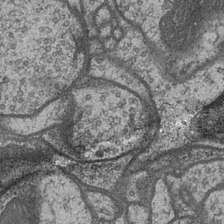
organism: Drosophila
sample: Optic medulla